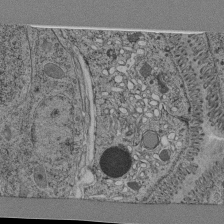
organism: C. elegans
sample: C. elegans pharynx